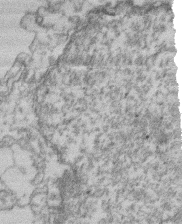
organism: Mouse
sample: T cell stromal cell synapse